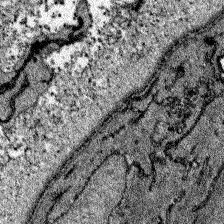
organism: Zebrafish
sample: Larval olfactory bulb